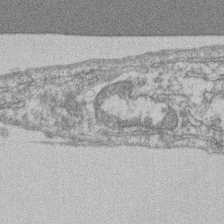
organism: Mouse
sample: T cell stromal cell synapse